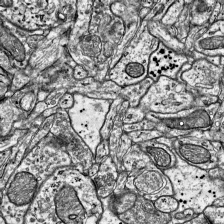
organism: Mouse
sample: Visual Cortex